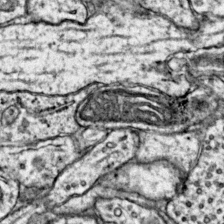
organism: Mouse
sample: Primary visual cortex